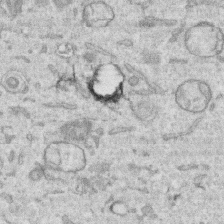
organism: Human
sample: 1205lu cells